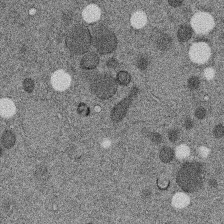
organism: C. elegans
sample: C. elegans embryo early stage